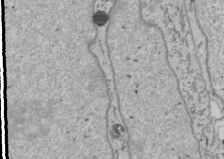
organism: Human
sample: Mitochondria in U2OS cells